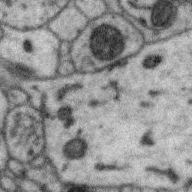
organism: Zebra finch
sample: Brain